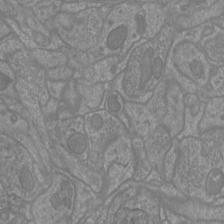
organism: Mouse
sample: Cortical neurons